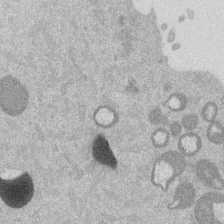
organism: Mouse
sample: Dividing mouse embryo 1 cell stage